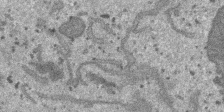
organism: Human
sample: Lung epithelial cells infected with SARS-CoV-2